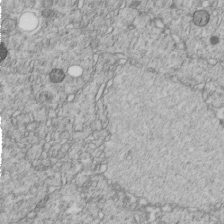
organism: C. elegans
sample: C. elegans embryo early stage